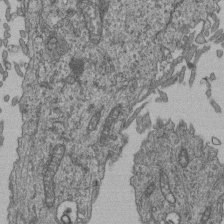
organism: Human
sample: Retinal organoid Rod and Cone cells